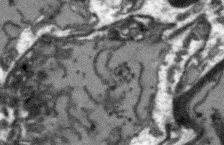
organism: Arabidopsis thaliana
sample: Root tip